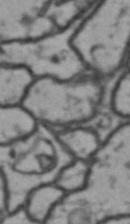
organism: Drosophila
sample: Brain